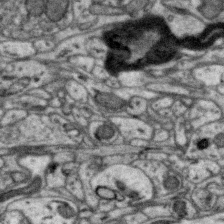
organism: Zebra finch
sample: Brain